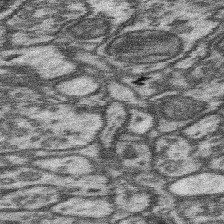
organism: Mouse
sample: Somatosensory cortex neuropil